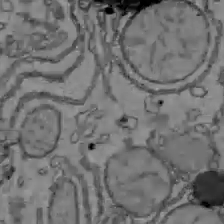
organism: C57BL Mouse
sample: Liver